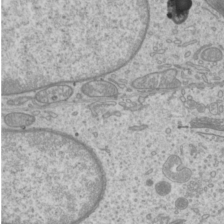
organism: Mouse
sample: Cilia; mouse epididymis